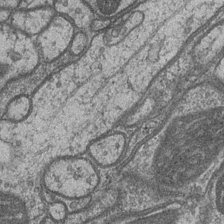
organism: Drosophila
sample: Optic medulla